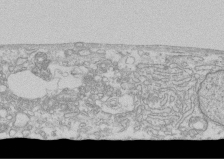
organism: Human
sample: CRL-1474